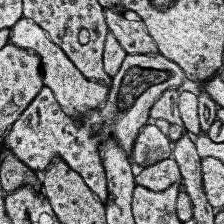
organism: Human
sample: Temporal Lobe